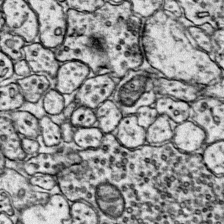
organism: Mouse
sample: Primary visual cortex